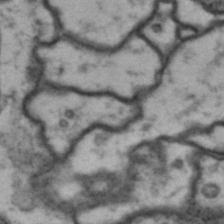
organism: Drosophila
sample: Brain